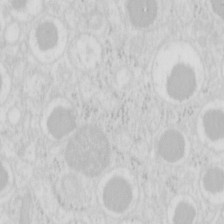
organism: Mouse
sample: Pancreas